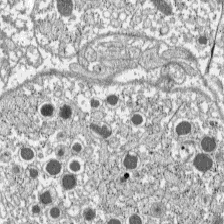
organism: C57BL Mouse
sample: Pancreatic islet